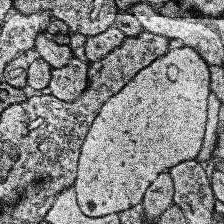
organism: Human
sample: Temporal Lobe